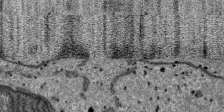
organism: Human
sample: Lung epithelial cells, uninfected (mock) control